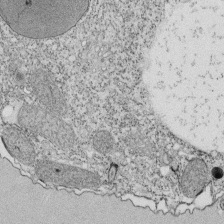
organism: Tetrahymena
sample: Cilia in tetrahymena